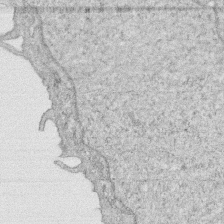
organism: Human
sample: HeLa cell HIV synapse